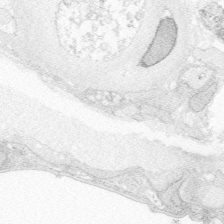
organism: Zebrafish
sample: Whole-Brain